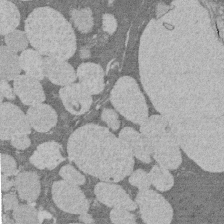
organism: Rat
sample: Salivary granule